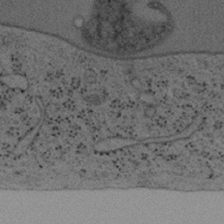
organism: Human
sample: HeLa cells